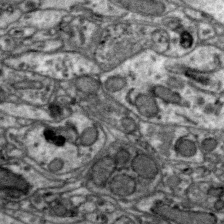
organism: Zebra finch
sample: Brain